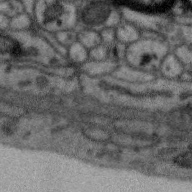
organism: Zebra finch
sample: Brain